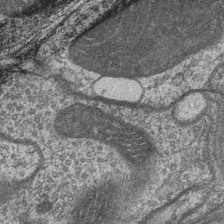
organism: Drosophila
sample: Optic medulla